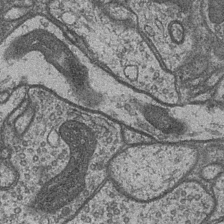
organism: Drosophila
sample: Optic medulla